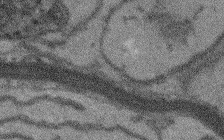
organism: Arabidopsis thaliana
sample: Root tip